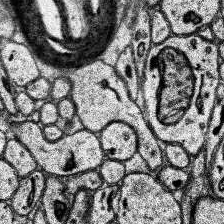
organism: Human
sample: Temporal Lobe